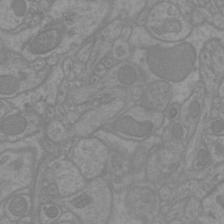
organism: Mouse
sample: Cortical neurons